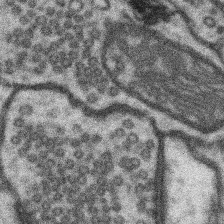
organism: Mouse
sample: Somatosensory cortex neuropil